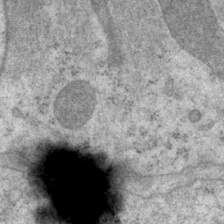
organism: P. pacificus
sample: Pharynx